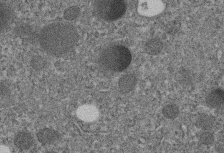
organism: C. elegans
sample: C. elegans embryo early stage